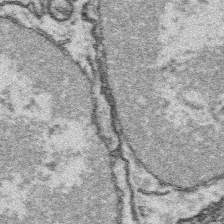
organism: Platynereis dumerilii